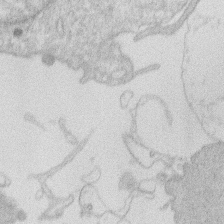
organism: Human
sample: Macrophage cells